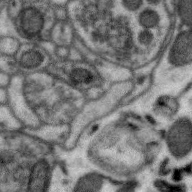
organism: Zebra finch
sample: Brain